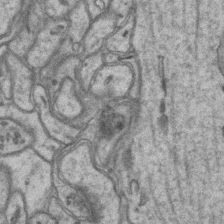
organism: Mouse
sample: CA1 Hippocampus